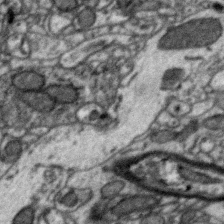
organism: Zebra finch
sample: Brain